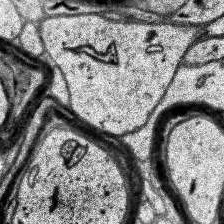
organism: Human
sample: Temporal Lobe